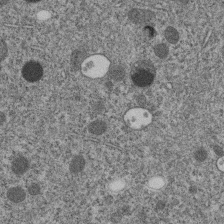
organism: C. elegans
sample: C. elegans embryo early stage